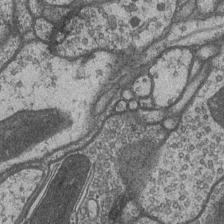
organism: Drosophila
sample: Optic medulla